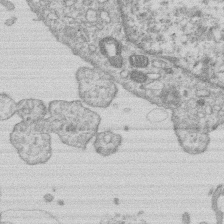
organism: Human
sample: Macrophage cells